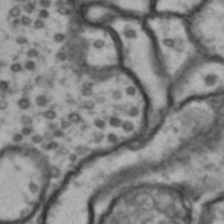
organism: Drosophila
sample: Brain